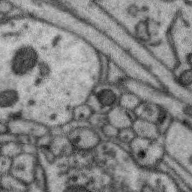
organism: Zebra finch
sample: Brain